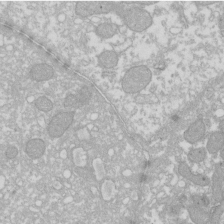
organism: Xenopus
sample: Cilia; centrioles in frog embryo cells